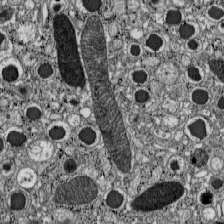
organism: C57BL Mouse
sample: Pancreatic islet